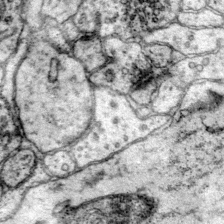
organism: Mouse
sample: Primary visual cortex